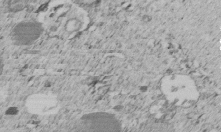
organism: C. elegans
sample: C. elegans embryo early stage